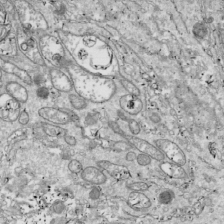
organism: Drosophila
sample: Cell division; meiosis; drosophila spermatocytes